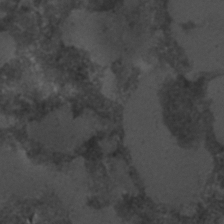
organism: C. elegans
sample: C. elegans embryo